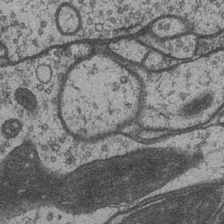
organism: Drosophila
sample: Optic medulla